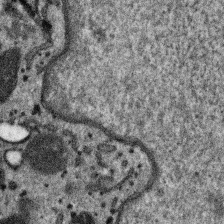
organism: Human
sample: Lung epithelial cells infected with SARS-CoV-2